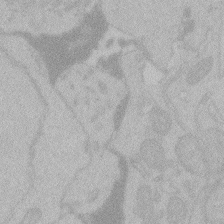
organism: Zebrafish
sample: Macrophage infected with Toxoplasma gondii